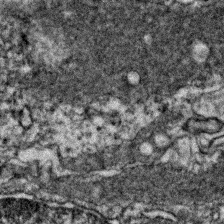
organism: Zebrafish